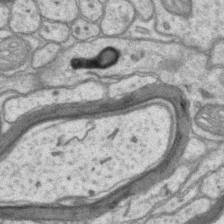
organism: Mouse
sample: CA1 Hippocampus